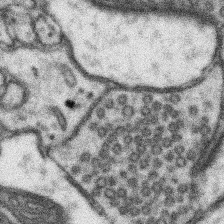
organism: Mouse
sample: Somatosensory cortex neuropil